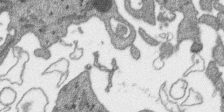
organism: Human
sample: Lung epithelial cells infected with SARS-CoV-2